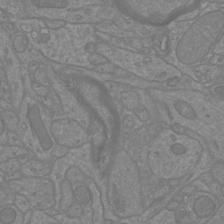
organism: Mouse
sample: Cortical neurons